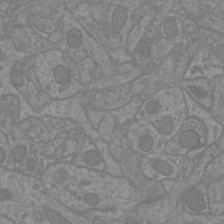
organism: Mouse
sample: Cortical neurons